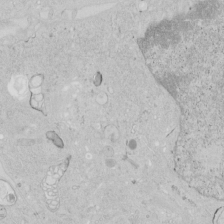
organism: Human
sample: Mitochondria in HCT116 cells